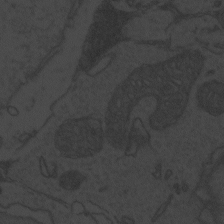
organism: Zebrafish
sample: Macrophage infected with Toxoplasma gondii